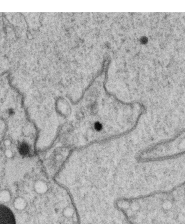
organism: C. elegans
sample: C. elegans oocyte; sperm cells